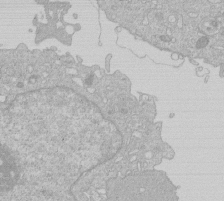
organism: Human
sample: Macrophage cells